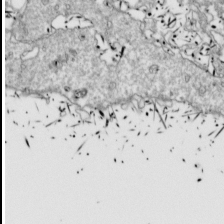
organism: Drosophila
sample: Cell division; meiosis; drosophila spermatocytes